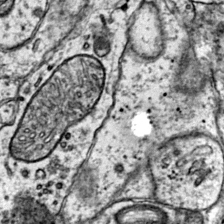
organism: Mouse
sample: Primary visual cortex